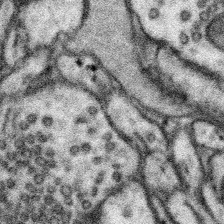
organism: Mouse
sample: Somatosensory cortex neuropil